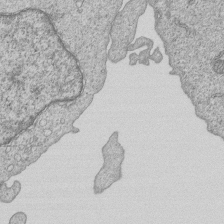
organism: Human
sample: MDA-MB-231 cells